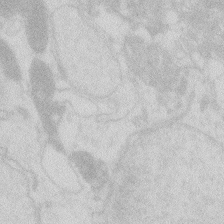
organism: Zebrafish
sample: Macrophage